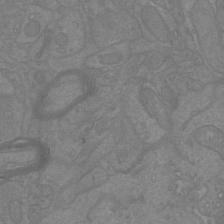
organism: Mouse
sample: Cortical neurons